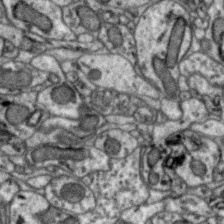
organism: Zebra finch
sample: Brain